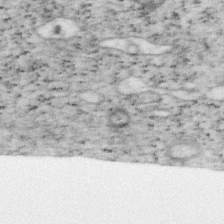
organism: Mouse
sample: OT-I killer T cells with ID8 ovarian cancer cells